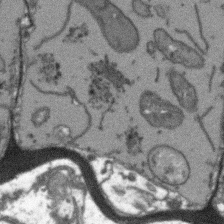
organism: Arabidopsis thaliana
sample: Root tip